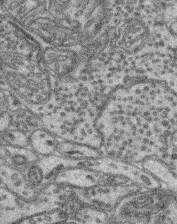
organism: Mouse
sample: Retina